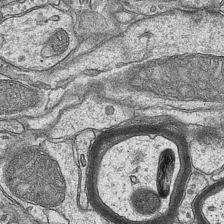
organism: Mouse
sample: CA1 Hippocampus